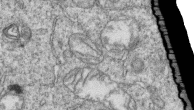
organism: Human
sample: HeLa cell HIV synapse